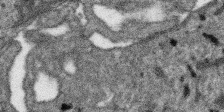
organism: Human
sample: Lung epithelial cells infected with SARS-CoV-2